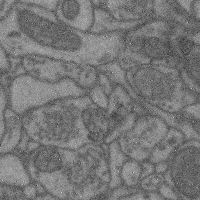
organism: Mouse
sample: Cerebral cortex